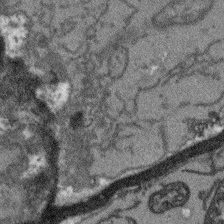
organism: Arabidopsis thaliana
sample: Root tip